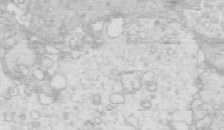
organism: Mouse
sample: Multiciliated cells